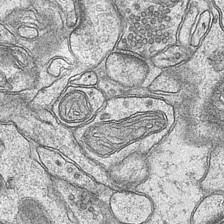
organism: Mouse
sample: CA1 Hippocampus